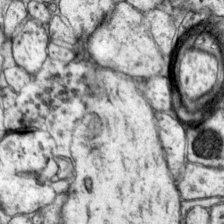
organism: Mouse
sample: Primary visual cortex